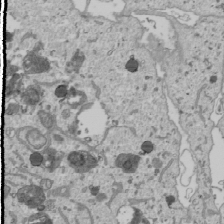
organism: Human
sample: Mitochondria in U2OS cells